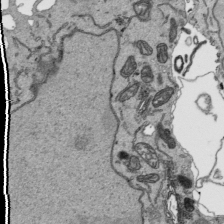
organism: Human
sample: Mitochondria in HCT116 cells